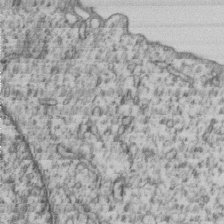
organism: Human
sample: MDA-MB-231 cells